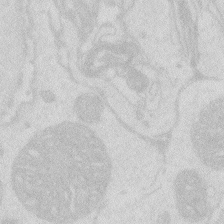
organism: Zebrafish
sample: Macrophage